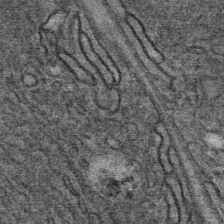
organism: Mouse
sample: Mouse Salivary gland